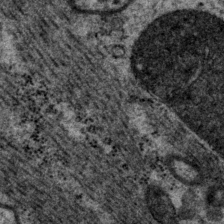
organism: P. pacificus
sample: Pharynx